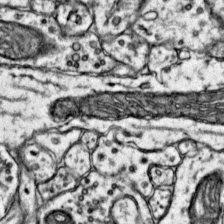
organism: Mouse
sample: Primary visual cortex